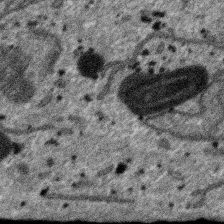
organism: Human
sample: Lung epithelial cells infected with SARS-CoV-2